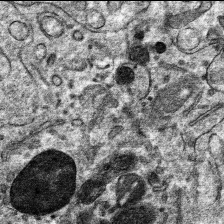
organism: Mouse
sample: Mouse hepatocytes